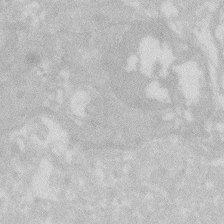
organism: Zebrafish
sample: Macrophage